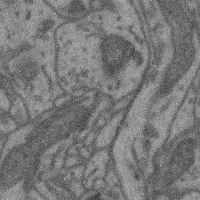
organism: Mouse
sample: Cerebral cortex